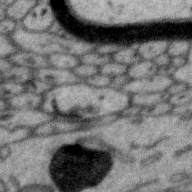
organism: Zebra finch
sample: Brain